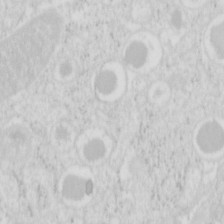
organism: Mouse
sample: Pancreas